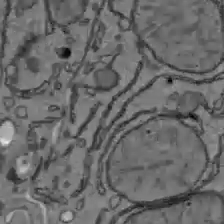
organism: C57BL Mouse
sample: Liver